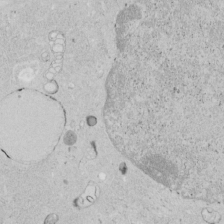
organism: Human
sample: Mitochondria in HCT116 cells